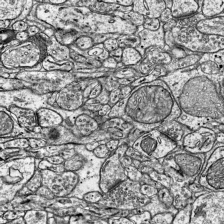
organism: Mouse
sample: Visual Cortex